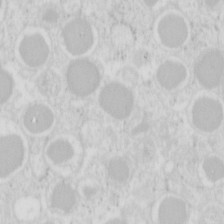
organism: Mouse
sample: Pancreas